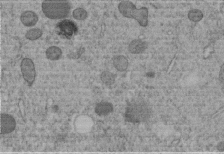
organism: C. elegans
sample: C. elegans embryo early stage